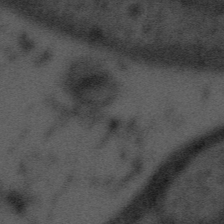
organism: Tuwongella immobilis